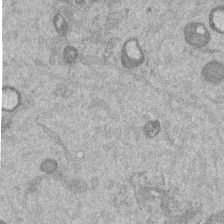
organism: Mouse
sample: Dividing mouse embryo 1 cell stage